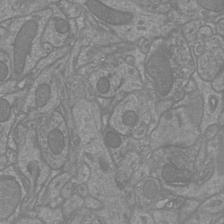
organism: Mouse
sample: Cortical neurons